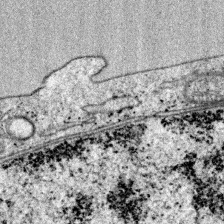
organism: Human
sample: HeLa cells